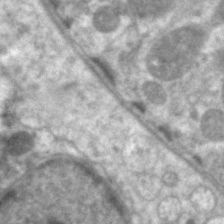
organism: C. elegans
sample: Pharynx